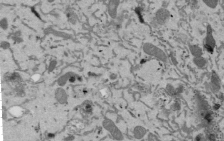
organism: Mouse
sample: ED-1 cell nuclei; centrioles